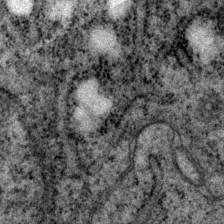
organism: P. pacificus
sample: Pharynx